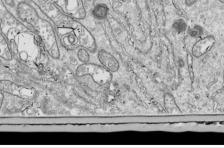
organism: Drosophila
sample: Cell division; meiosis; drosophila spermatocytes